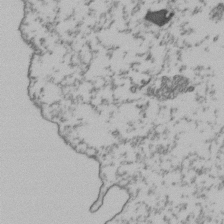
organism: Human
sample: Activated Jurkat CD4+ T cells